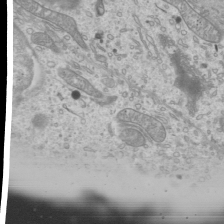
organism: Mouse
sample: Cilia; mouse epididymis